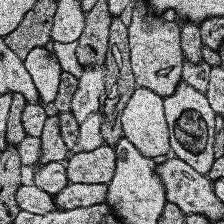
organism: Human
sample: Temporal Lobe